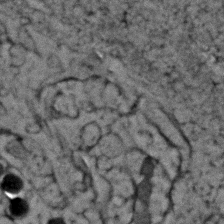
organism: Zebrafish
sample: Zebrafish embryo